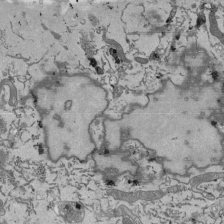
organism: Mouse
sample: ED-1 cell nuclei; centrioles